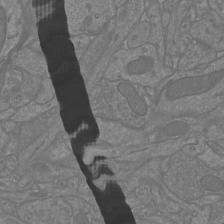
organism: Mouse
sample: Cortical neurons